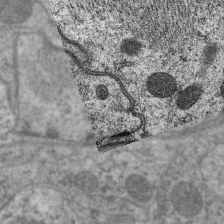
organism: C. elegans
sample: Pharynx